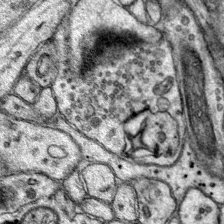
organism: Mouse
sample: Primary visual cortex